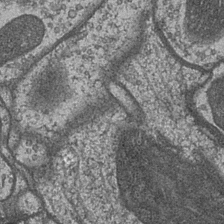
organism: Drosophila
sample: Optic medulla